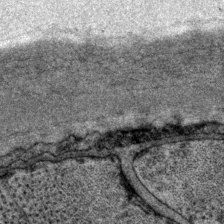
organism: P. pacificus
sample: Pharynx